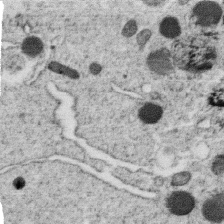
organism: C. elegans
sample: C. elegans oocyte; sperm cells